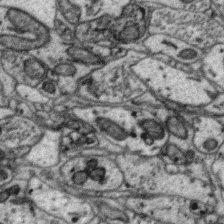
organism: Zebra finch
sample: Brain